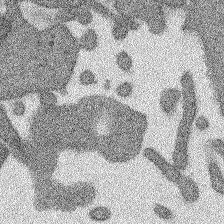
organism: Human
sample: HeLa cells